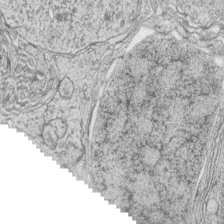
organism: Zebrafish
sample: synaptic ribbons in rod cells and cone cells